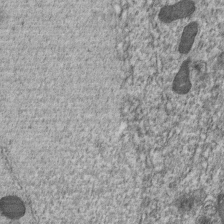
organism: C. elegans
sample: C. elegans embryo early stage